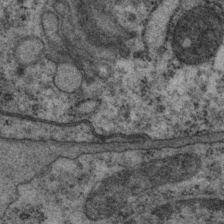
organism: P. pacificus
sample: Pharynx